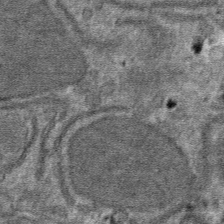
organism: Mouse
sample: Mouse hepatocytes